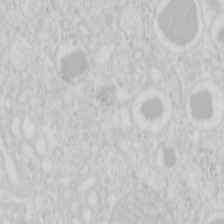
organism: Mouse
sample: Pancreas